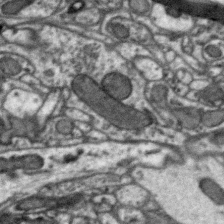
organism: Zebra finch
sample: Brain